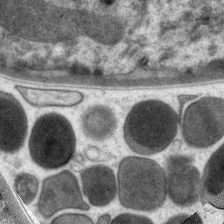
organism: C. elegans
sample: Pharynx